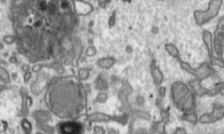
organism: Toxoplasma gondii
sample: Parasites in a vacuole inside a host cell